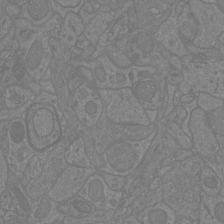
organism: Mouse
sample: Cortical neurons